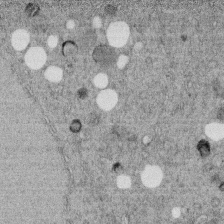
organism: C. elegans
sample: C. elegans embryo early stage